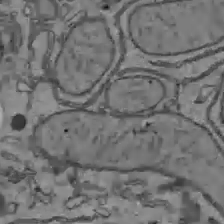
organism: C57BL Mouse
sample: Liver